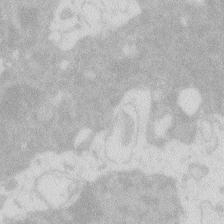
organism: Zebrafish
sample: Macrophage